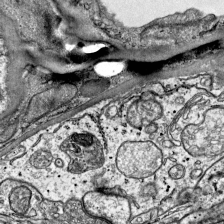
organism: Mouse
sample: Visual Cortex